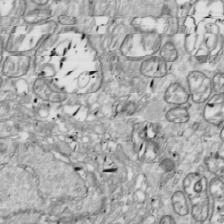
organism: Drosophila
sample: Cell division; meiosis; drosophila spermatocytes